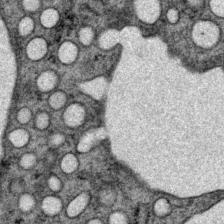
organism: P. pacificus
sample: Pharynx